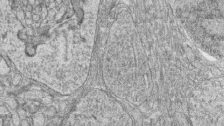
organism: Zebrafish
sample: synaptic ribbons in rod cells and cone cells